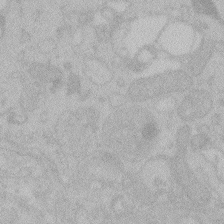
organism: Zebrafish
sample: Macrophage infected with Toxoplasma gondii